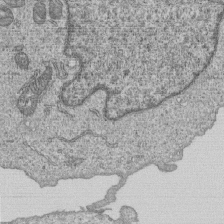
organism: Human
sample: MDA-MB-231 cells